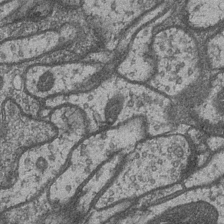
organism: Drosophila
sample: Optic medulla